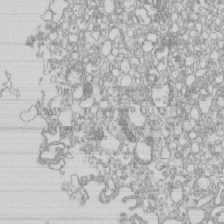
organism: Mouse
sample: Macrophages